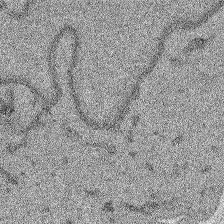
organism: Human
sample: HeLa cells